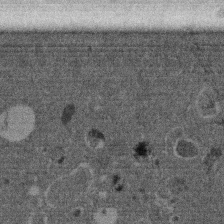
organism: Mouse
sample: Dividing mouse embryo 1 cell stage